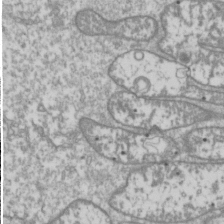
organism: Drosophila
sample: Cell division; meiosis; drosophila spermatocytes